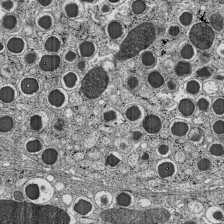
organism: C57BL Mouse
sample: Pancreatic islet